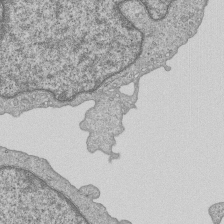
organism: Human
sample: MDA-MB-231 cells